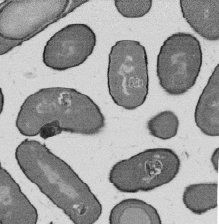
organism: B. subtilis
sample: Bacterial spore